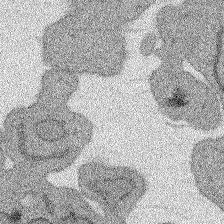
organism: Human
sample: HeLa cells